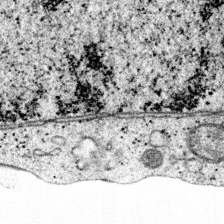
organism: Human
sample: HeLa cells